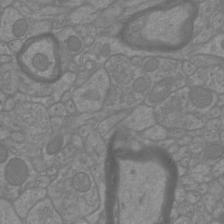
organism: Mouse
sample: Cortical neurons